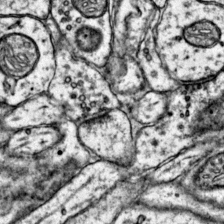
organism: Mouse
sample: Primary visual cortex